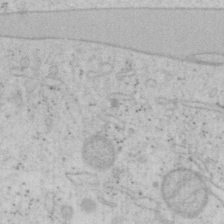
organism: Human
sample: HeLa cells